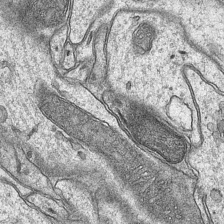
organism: Mouse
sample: CA1 Hippocampus